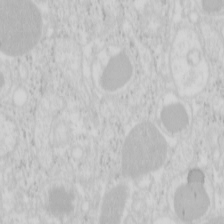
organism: Mouse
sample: Pancreas